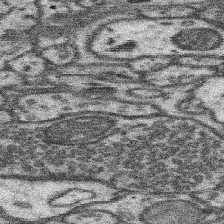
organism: Mouse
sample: Somatosensory cortex neuropil